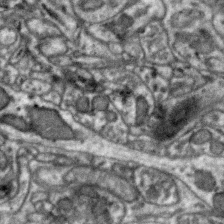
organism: Zebra finch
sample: Brain